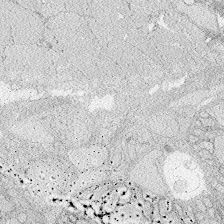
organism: Zebrafish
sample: Whole-Brain